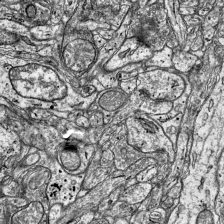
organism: Mouse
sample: Visual Cortex